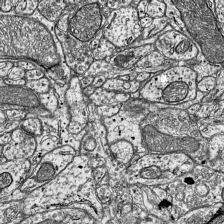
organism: Mouse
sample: Visual Cortex